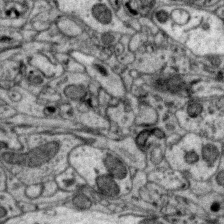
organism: Zebra finch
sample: Brain